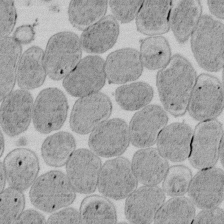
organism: E. coli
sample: Bacterial nucleoid